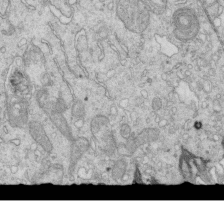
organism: Mouse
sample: Multiciliated cells